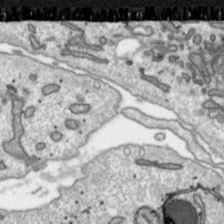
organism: Toxoplasma gondii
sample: Parasites in a vacuole inside a host cell